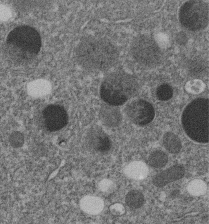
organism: C. elegans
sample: C. elegans embryo early stage